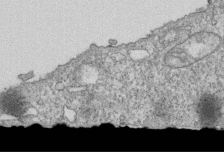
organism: Human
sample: HeLa cell HIV synapse